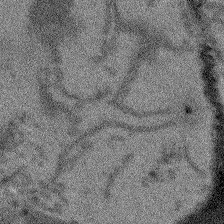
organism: Arabidopsis thaliana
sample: Root tip